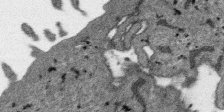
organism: Human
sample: Lung epithelial cells, uninfected (mock) control